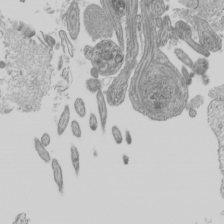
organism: Mouse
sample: Cilia; mouse epididymis